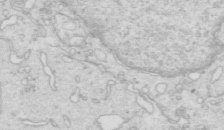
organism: Mouse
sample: Multiciliated cells